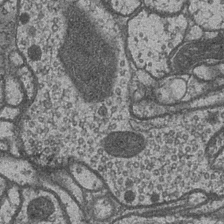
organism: Drosophila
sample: Optic medulla